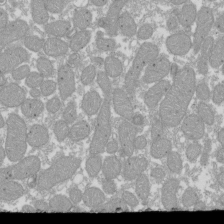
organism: Xenopus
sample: Cilia; centrioles in frog embryo cells